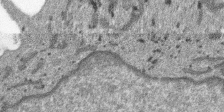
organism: Human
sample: Lung epithelial cells infected with SARS-CoV-2